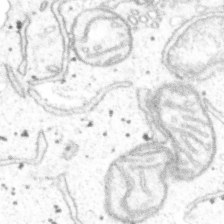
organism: Human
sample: HeLa cells